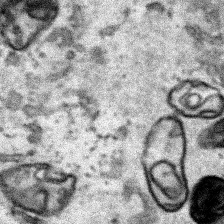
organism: Human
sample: Mitochondria in HCT116 cells